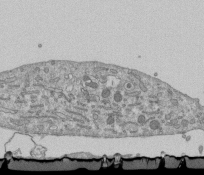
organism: Mouse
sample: ED-1 cell nuclei; centrioles